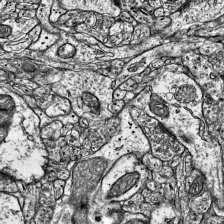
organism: Mouse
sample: Visual Cortex